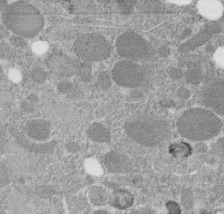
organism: C. elegans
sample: C. elegans embryo early stage